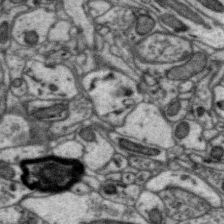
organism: Zebra finch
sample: Brain